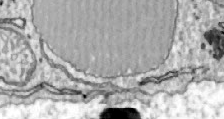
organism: Zebrafish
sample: Actinotrichia fibers